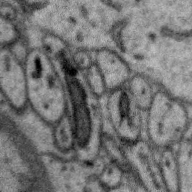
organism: Zebra finch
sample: Brain